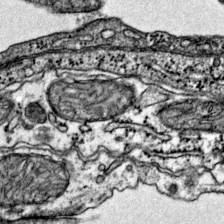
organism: Mouse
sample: Primary visual cortex